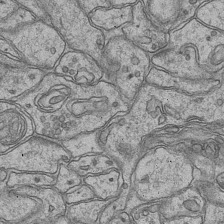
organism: Mouse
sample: CA1 Hippocampus